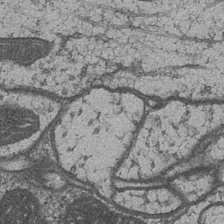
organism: Drosophila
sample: Optic medulla